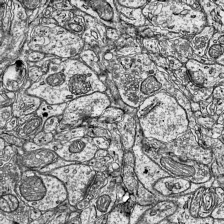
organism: Mouse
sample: Visual Cortex